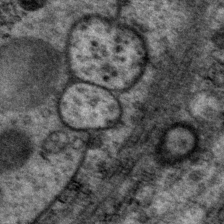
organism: P. pacificus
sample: Pharynx